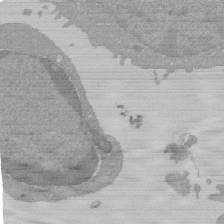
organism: Mouse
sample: Activated Pmel transgenic CD8+ T Cells